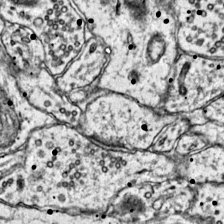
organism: Mouse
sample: Primary visual cortex